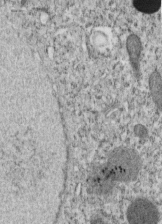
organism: C. elegans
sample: C. elegans embryo early stage